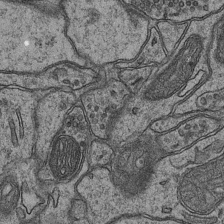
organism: Mouse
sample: CA1 Hippocampus